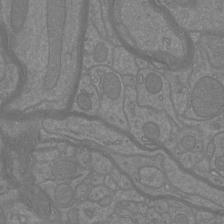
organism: Mouse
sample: Cortical neurons